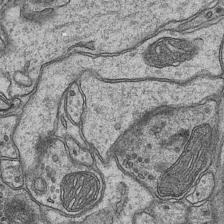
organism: Mouse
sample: CA1 Hippocampus